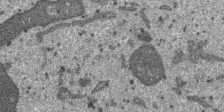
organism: Human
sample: Lung epithelial cells infected with SARS-CoV-2